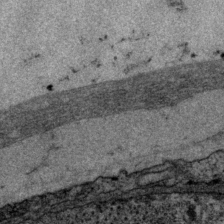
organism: P. pacificus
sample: Pharynx